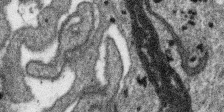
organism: Human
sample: Lung epithelial cells infected with SARS-CoV-2